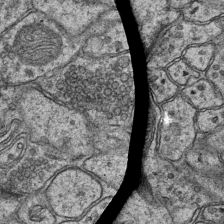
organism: Mouse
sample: CA1 Hippocampus